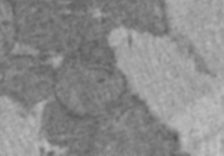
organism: C57BL Mouse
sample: Heart